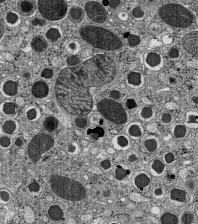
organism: C57BL Mouse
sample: Pancreatic islet